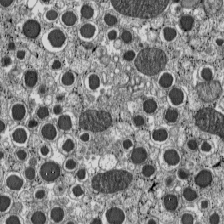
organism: C57BL Mouse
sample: Pancreatic islet